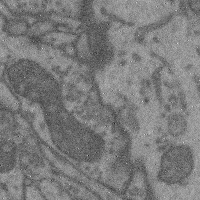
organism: Mouse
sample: Cerebral cortex